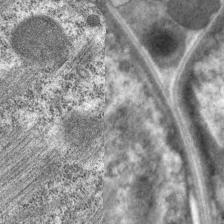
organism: C. elegans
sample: Pharynx